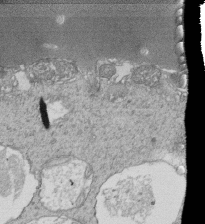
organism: Tetrahymena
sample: Cilia in tetrahymena